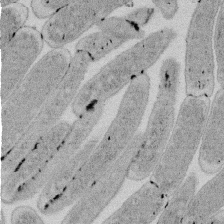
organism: E. coli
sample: Bacterial nucleoid